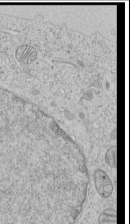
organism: Human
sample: Mitochondria in HCT116 cells